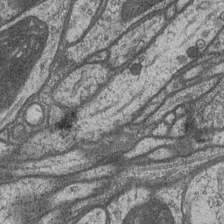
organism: Drosophila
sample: Optic medulla